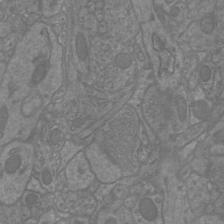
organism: Mouse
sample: Cortical neurons